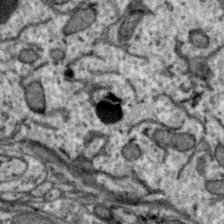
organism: Zebra finch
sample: Brain